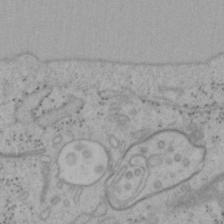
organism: Human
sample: HeLa cells